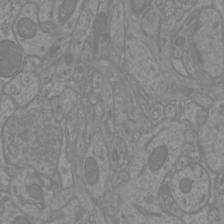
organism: Mouse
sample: Cortical neurons